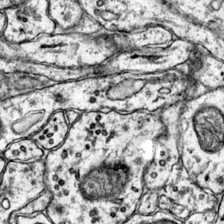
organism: Mouse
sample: Primary visual cortex